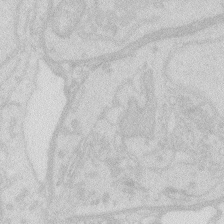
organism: Zebrafish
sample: Macrophage